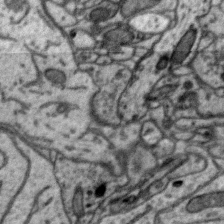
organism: Zebra finch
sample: Brain